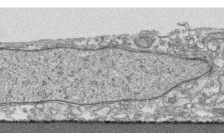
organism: Human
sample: CRL-1474